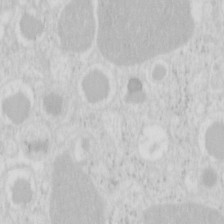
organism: Mouse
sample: Pancreas